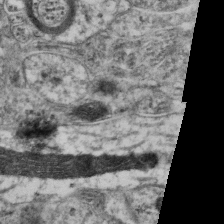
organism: Mouse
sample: Neocortex